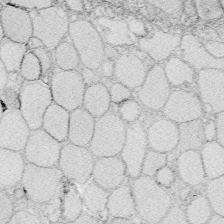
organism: Zebrafish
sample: Whole-Brain